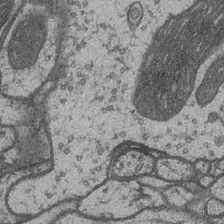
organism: Drosophila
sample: Optic medulla